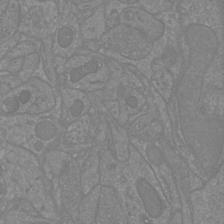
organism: Mouse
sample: Cortical neurons